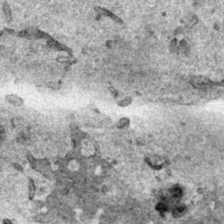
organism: Human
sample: Mitochondria in HCT116 cells